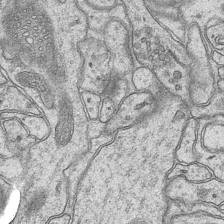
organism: Mouse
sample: CA1 Hippocampus